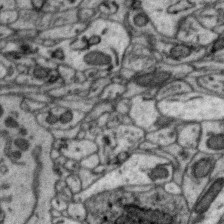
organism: Zebra finch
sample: Brain